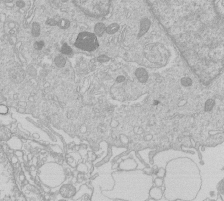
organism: Human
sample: Macrophage cells